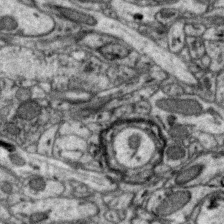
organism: Zebra finch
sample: Brain